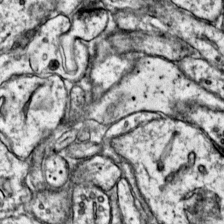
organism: Mouse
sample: Primary visual cortex